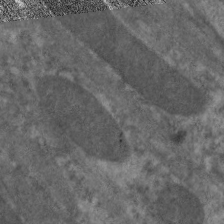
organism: C. elegans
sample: Pharynx